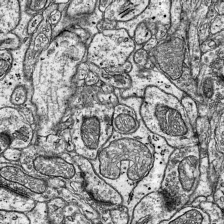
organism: Mouse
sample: Visual Cortex